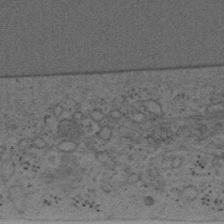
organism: Human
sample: HeLa cells